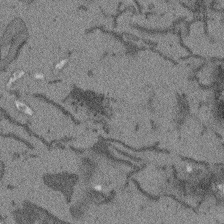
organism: Arabidopsis thaliana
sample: Root tip